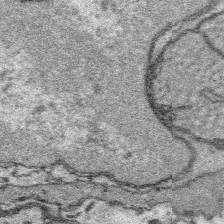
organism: Platynereis dumerilii